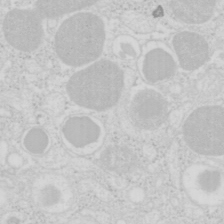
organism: Mouse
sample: Pancreas